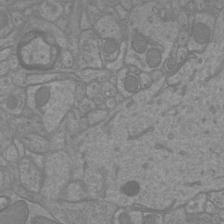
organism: Mouse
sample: Cortical neurons